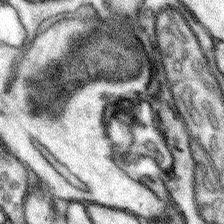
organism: Mouse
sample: Somatosensory cortex neuropil